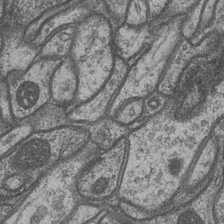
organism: Drosophila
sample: Optic medulla